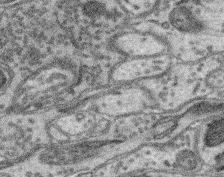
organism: Mouse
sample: Retina